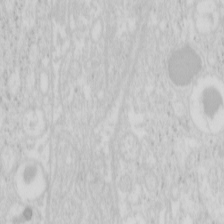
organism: Mouse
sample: Pancreas